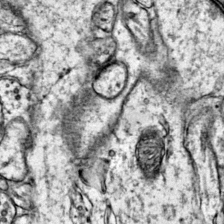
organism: Mouse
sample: Primary visual cortex